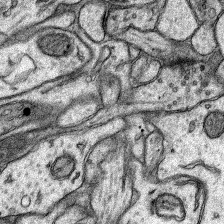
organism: Rat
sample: Hippocampus